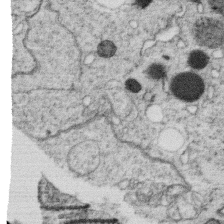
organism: C. elegans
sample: C. elegans oocyte; sperm cells